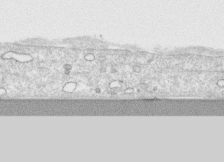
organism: Human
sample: CRL-1474